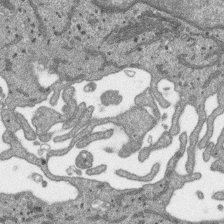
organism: Human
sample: Lung epithelial cells infected with SARS-CoV-2